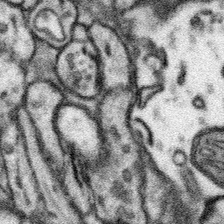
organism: Mouse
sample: Somatosensory cortex neuropil